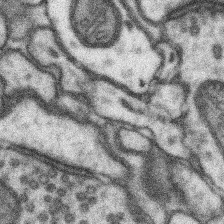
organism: Mouse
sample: Somatosensory cortex neuropil